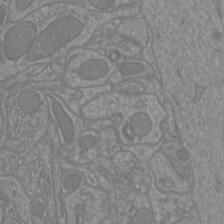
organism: Mouse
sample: Cortical neurons